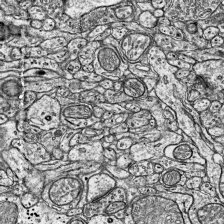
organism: Mouse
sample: Visual Cortex